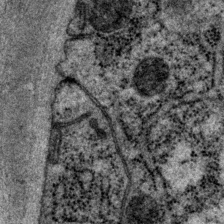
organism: P. pacificus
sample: Pharynx